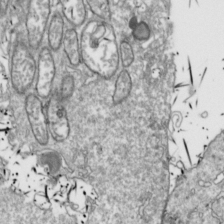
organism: Drosophila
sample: Cell division; meiosis; drosophila spermatocytes